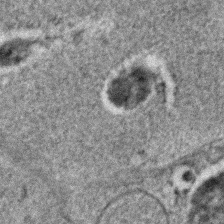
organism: C. elegans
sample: C. elegans embryo